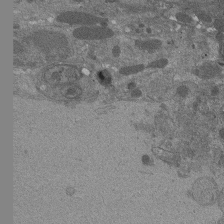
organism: Drosophila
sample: Antenna